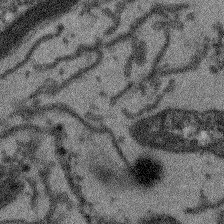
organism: Arabidopsis thaliana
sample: Root tip